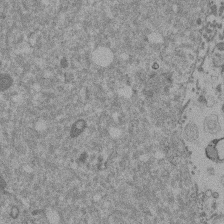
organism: Mouse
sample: Dividing mouse embryo 1 cell stage